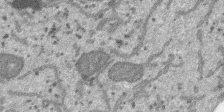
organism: Human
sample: Lung epithelial cells infected with SARS-CoV-2